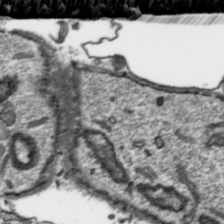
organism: Toxoplasma gondii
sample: Parasites in a vacuole inside a host cell